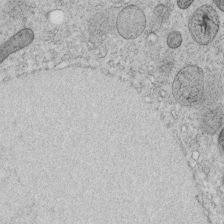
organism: C. elegans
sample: C. elegans embryo early stage